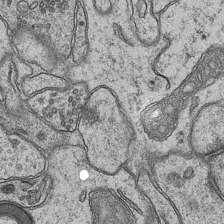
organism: Mouse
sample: CA1 Hippocampus